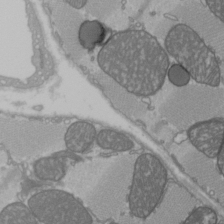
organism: C57BL Mouse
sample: Heart